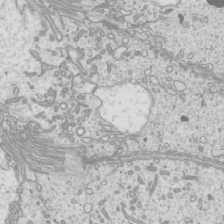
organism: Mouse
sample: Cilia; mouse epididymis